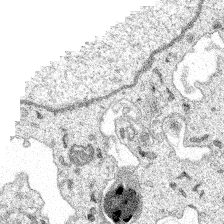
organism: Spongilla lacustris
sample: Multiple